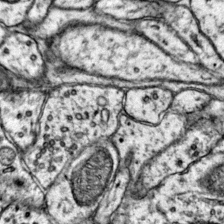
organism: Mouse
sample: Primary visual cortex